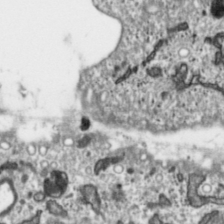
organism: Toxoplasma gondii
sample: Parasites in a vacuole inside a host cell